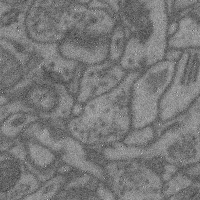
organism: Mouse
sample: Cerebral cortex